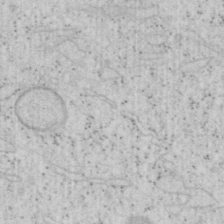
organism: Human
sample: HeLa cells